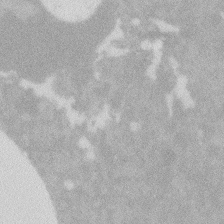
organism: Zebrafish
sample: Macrophage